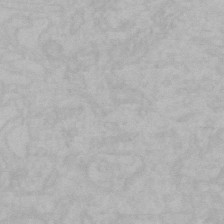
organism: Mouse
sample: Choroid plexus